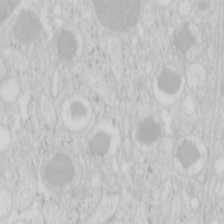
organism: Mouse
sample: Pancreas